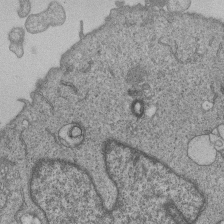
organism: Human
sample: MDA-MB-231 cells